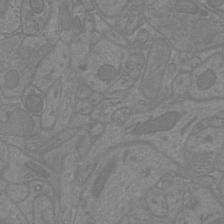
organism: Mouse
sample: Cortical neurons